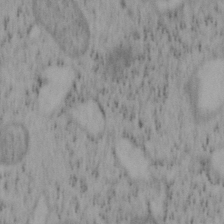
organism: Mouse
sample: OT-I killer T cells with ID8 ovarian cancer cells